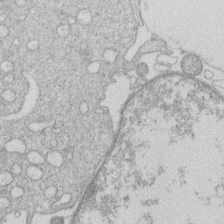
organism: Human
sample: Macrophage cells